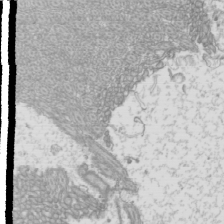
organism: Mouse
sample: Cilia; mouse epididymis